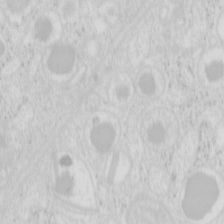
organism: Mouse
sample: Pancreas